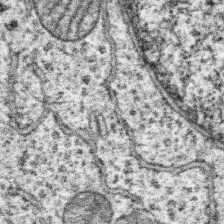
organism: Human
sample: HeLa cells